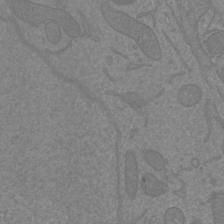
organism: Mouse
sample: Cortical neurons